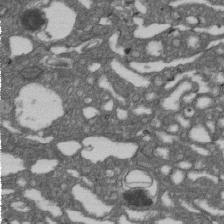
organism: Drosophila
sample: Nephrocyte